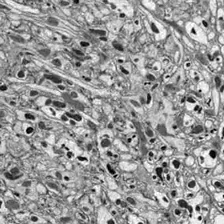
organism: Drosophila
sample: Optic lobe